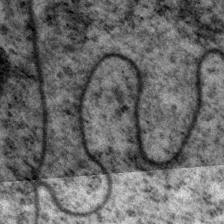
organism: P. pacificus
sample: Pharynx